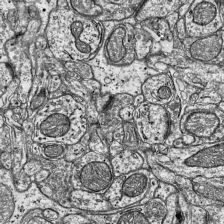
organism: Mouse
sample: Visual Cortex